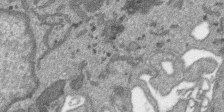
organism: Human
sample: Lung epithelial cells infected with SARS-CoV-2